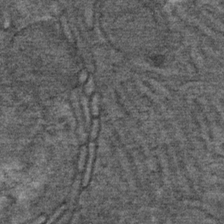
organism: Mouse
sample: Mouse Salivary gland